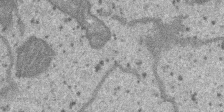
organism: Human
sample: Lung epithelial cells infected with SARS-CoV-2